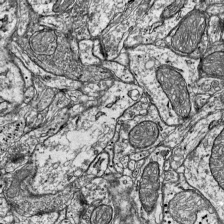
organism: Mouse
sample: Visual Cortex